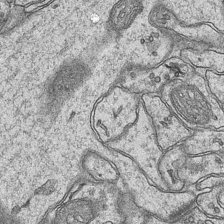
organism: Mouse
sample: CA1 Hippocampus